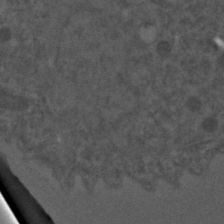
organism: C. elegans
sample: C. elegans embryo